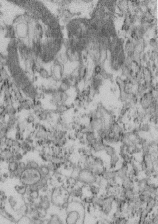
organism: Mouse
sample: Cilia; retinal pigment epithelium